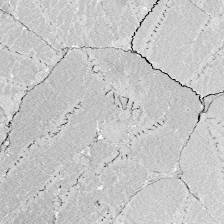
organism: Zebrafish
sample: Whole-Brain